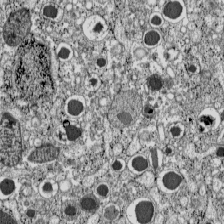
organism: C57BL Mouse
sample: Pancreatic islet